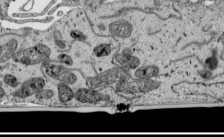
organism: Human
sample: Mitochondria in HCT116 cells